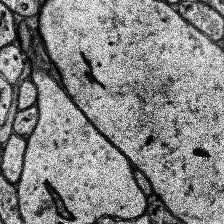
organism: Human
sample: Temporal Lobe